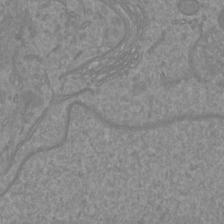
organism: Mouse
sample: Cortical neurons